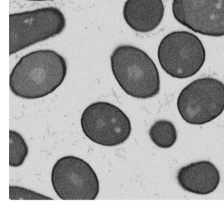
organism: B. subtilis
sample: Bacterial spore